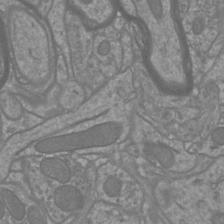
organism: Mouse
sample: Cortical neurons